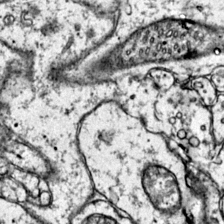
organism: Mouse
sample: Primary visual cortex